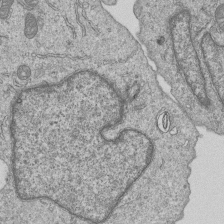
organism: Human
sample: MDA-MB-231 cells